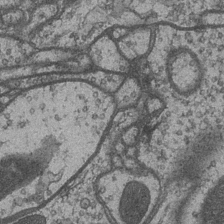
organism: Drosophila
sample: Optic medulla